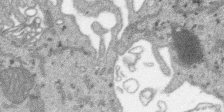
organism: Human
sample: Lung epithelial cells infected with SARS-CoV-2